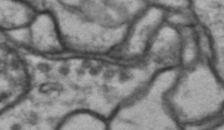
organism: Drosophila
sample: Brain